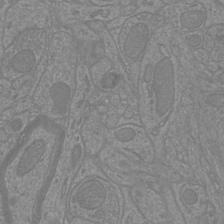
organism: Mouse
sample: Cortical neurons